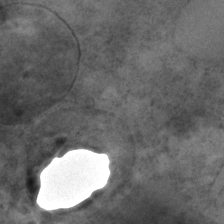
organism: C. elegans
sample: C. elegans embryo